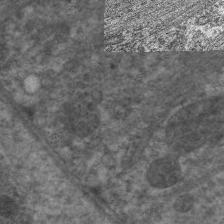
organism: C. elegans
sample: Pharynx